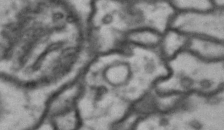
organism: Drosophila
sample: Brain